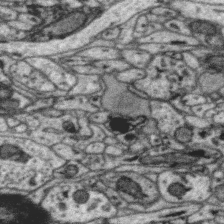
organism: Zebra finch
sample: Brain